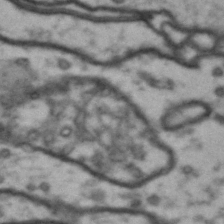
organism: Drosophila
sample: Brain